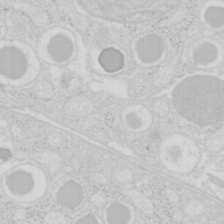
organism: Mouse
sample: Pancreas